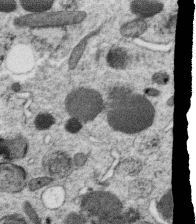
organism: C. elegans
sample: C. elegans oocyte; sperm cells